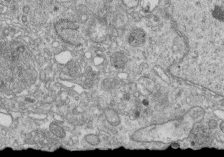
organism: Human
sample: HeLa cell HIV synapse